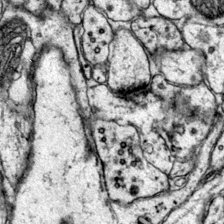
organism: Mouse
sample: Primary visual cortex